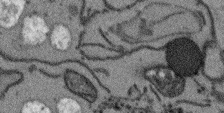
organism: Arabidopsis thaliana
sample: Root tip